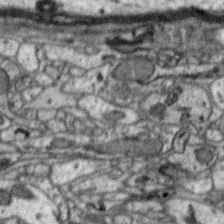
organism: Zebra finch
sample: Brain